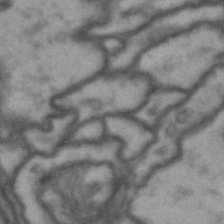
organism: Drosophila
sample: Brain